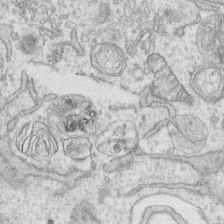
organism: Human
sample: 1205lu cells